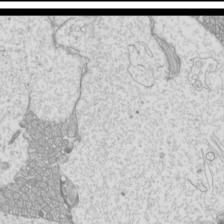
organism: Mouse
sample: Cilia; mouse epididymis